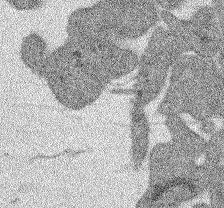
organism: Human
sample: HeLa cells